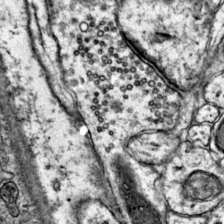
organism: Mouse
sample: Primary visual cortex